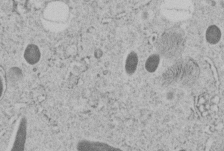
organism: C. elegans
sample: C. elegans embryo early stage